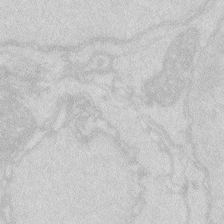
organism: Zebrafish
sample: Macrophage